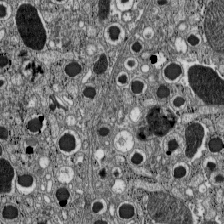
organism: C57BL Mouse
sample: Pancreatic islet